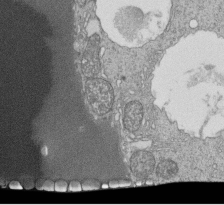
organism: Tetrahymena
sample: Cilia in tetrahymena